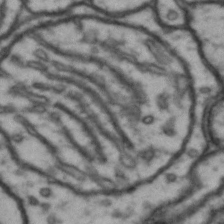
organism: Drosophila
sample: Brain